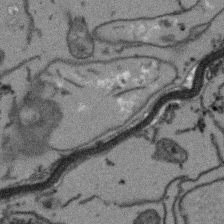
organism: Arabidopsis thaliana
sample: Root tip